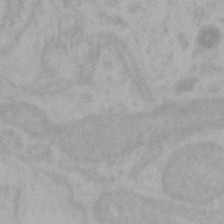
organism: Mouse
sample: Choroid plexus